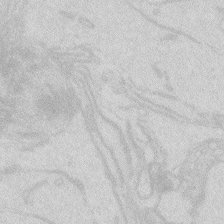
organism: Zebrafish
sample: Macrophage